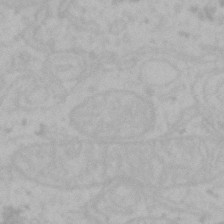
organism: Mouse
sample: Choroid plexus